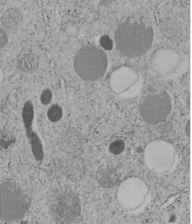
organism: C. elegans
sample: C. elegans embryo early stage